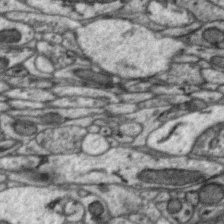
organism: Zebra finch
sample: Brain